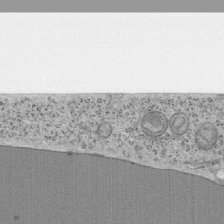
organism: Human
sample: HeLa cells